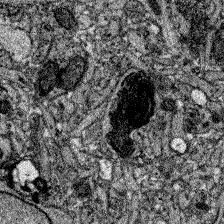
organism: Zebrafish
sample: Larval olfactory bulb